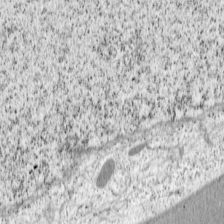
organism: African green monkey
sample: COS-7 cells